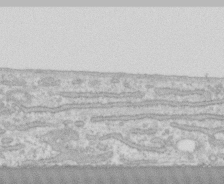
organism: Human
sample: CRL-1474